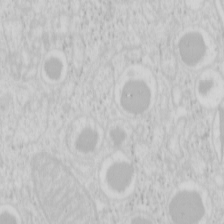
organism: Mouse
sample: Pancreas